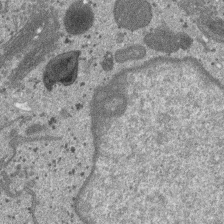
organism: Human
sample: Lung epithelial cells infected with SARS-CoV-2